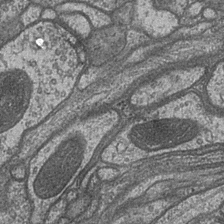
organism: Drosophila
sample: Optic medulla